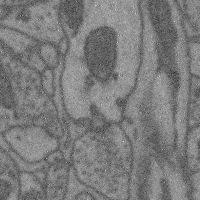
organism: Mouse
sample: Cerebral cortex